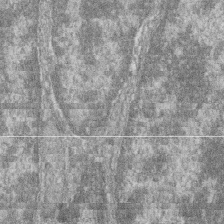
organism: Zebrafish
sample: Cilia; retinal pigment epithelium